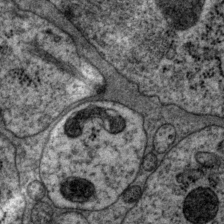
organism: P. pacificus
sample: Pharynx